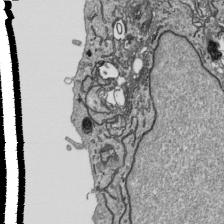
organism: Human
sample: Mitochondria in HCT116 cells